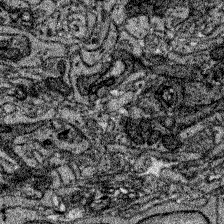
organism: Zebrafish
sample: Larval olfactory bulb